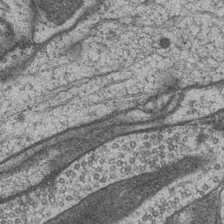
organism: Drosophila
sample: Optic medulla